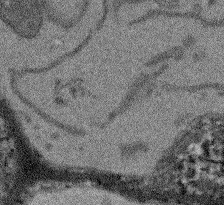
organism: Arabidopsis thaliana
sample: Root tip